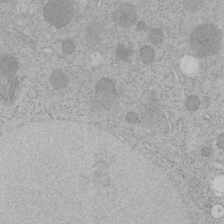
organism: C. elegans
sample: C. elegans embryo early stage